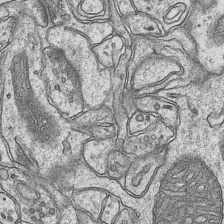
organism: Mouse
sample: CA1 Hippocampus